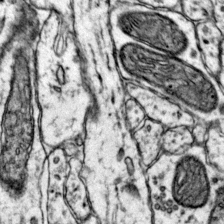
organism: Mouse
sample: Primary visual cortex